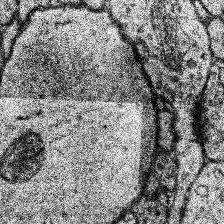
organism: Human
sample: Temporal Lobe